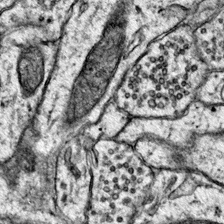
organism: Mouse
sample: Primary visual cortex